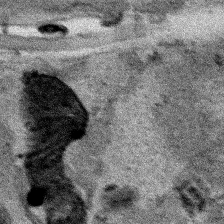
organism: Human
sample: Mitochondria in HCT116 cells